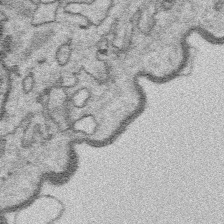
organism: Platynereis dumerilii